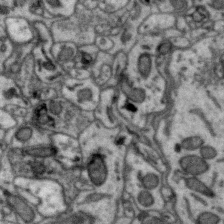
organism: Zebra finch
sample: Brain